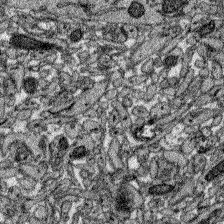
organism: Zebrafish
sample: Larval olfactory bulb